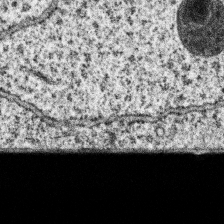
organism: Human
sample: HeLa cells